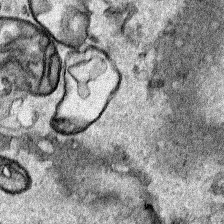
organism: Human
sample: Mitochondria in HCT116 cells